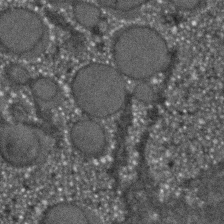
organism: C. elegans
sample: C. elegans embryo